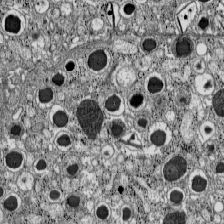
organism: C57BL Mouse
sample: Pancreatic islet